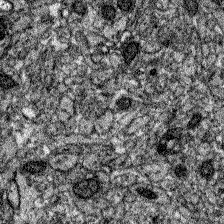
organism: Zebrafish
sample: Larval olfactory bulb